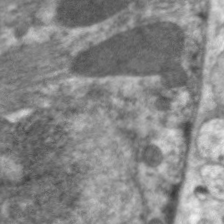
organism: C. elegans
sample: Pharynx